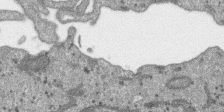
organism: Human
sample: Lung epithelial cells infected with SARS-CoV-2